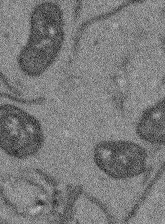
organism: Arabidopsis thaliana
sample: Root tip